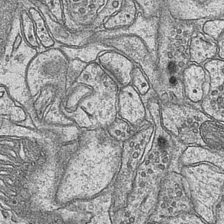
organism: Mouse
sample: CA1 Hippocampus